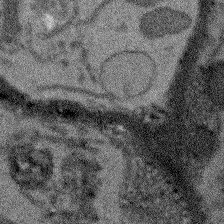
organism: Arabidopsis thaliana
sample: Root tip